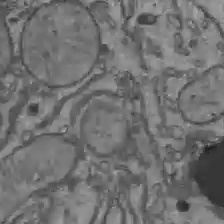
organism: C57BL Mouse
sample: Liver